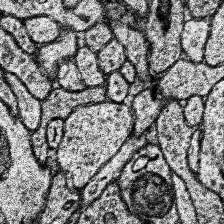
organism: Human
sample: Temporal Lobe